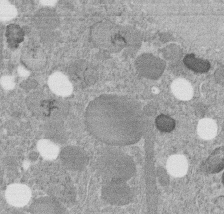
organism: C. elegans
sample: C. elegans embryo early stage